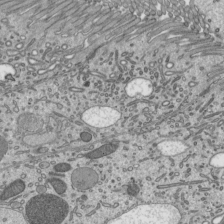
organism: Mouse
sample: Mouse epididymis efferent ductule cilia